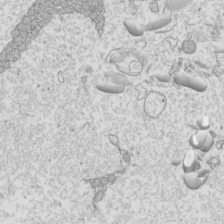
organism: Mouse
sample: Cilia; mouse epididymis